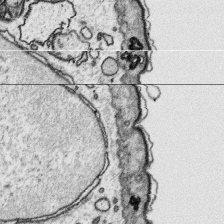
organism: Platynereis dumerilii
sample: Parapodia